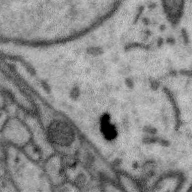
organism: Zebra finch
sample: Brain